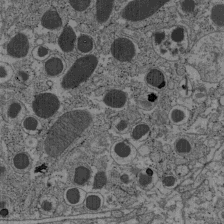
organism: C57BL Mouse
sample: Pancreatic islet